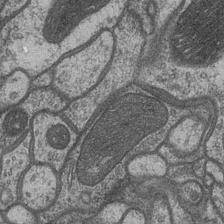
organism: Drosophila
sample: Optic medulla